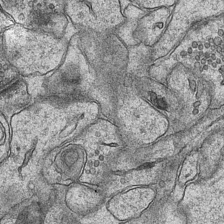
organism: Mouse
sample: CA1 Hippocampus